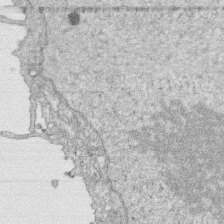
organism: Human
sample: HeLa cell HIV synapse